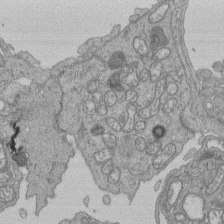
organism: Human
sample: Retinal organoid Rod and Cone cells